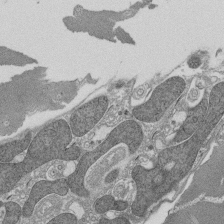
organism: Tetrahymena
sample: Cilia in tetrahymena